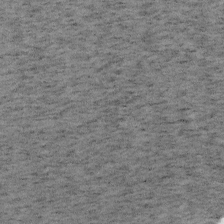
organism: Mouse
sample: OT-I killer T cells with ID8 ovarian cancer cells